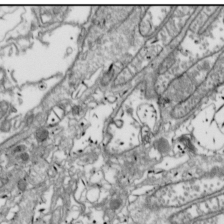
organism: Drosophila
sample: Cell division; meiosis; drosophila spermatocytes